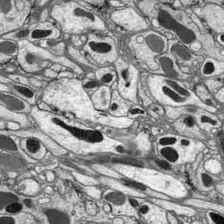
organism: Drosophila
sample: Optic lobe